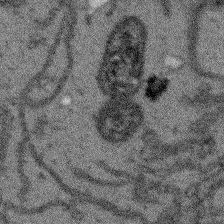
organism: Arabidopsis thaliana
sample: Root tip